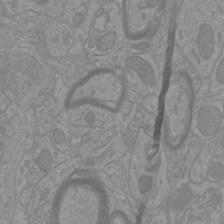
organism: Mouse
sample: Cortical neurons